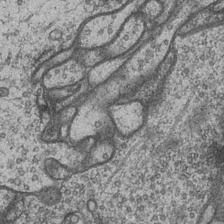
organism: Drosophila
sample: Optic medulla